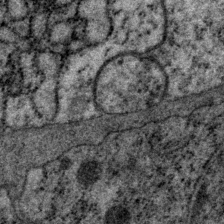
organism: P. pacificus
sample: Pharynx